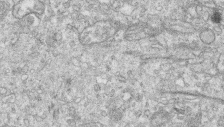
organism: Human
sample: HeLa cell HIV synapse